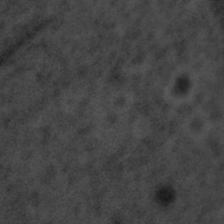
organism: Tuwongella immobilis